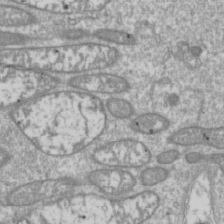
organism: Drosophila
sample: Cell division; meiosis; drosophila spermatocytes